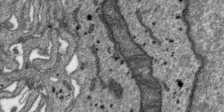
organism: Human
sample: Lung epithelial cells, uninfected (mock) control